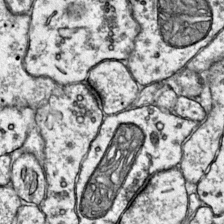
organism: Mouse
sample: Primary visual cortex